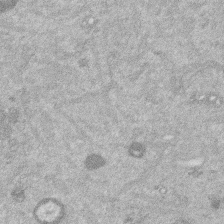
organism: Mouse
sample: Dividing mouse embryo 1 cell stage